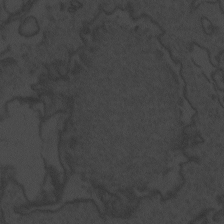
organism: Zebrafish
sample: Macrophage infected with Toxoplasma gondii